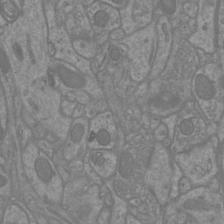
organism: Mouse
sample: Cortical neurons